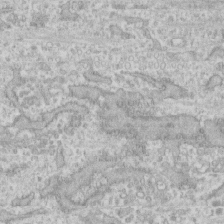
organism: Human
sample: CRL-1474